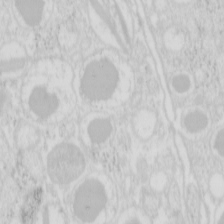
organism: Mouse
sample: Pancreas